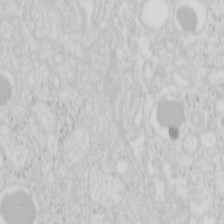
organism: Mouse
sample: Pancreas